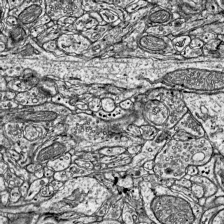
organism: Mouse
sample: Visual Cortex